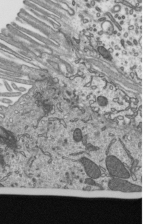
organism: Mouse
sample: Mouse epididymis efferent ductule cilia